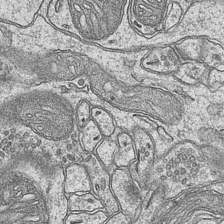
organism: Mouse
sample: CA1 Hippocampus